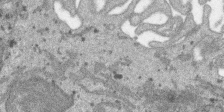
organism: Human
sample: Lung epithelial cells infected with SARS-CoV-2